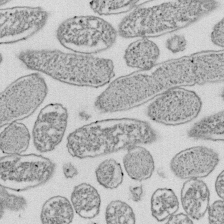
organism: E. coli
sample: Bacterial nucleoid